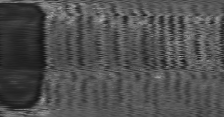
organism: C57BL Mouse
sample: Heart